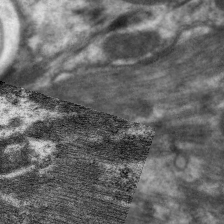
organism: C. elegans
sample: Pharynx